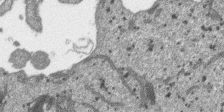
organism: Human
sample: Lung epithelial cells infected with SARS-CoV-2